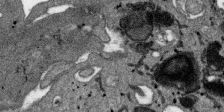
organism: Human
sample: Lung epithelial cells, uninfected (mock) control